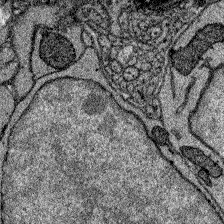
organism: Zebrafish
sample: Larval olfactory bulb